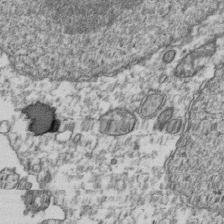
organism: Human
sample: Activated Jurkat CD4+ T cells